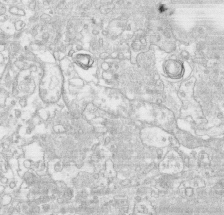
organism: Human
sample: CRL-1474